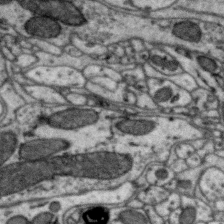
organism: Zebra finch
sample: Brain